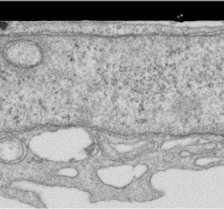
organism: Human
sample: Centriole in RPE cells